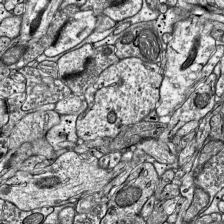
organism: Mouse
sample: Visual Cortex